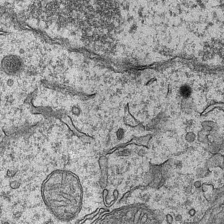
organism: Mouse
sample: CA1 Hippocampus